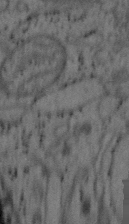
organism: Human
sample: HeLa cells